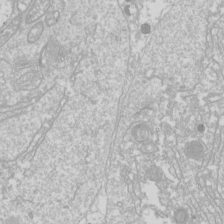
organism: Drosophila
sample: Cell division; meiosis; drosophila spermatocytes